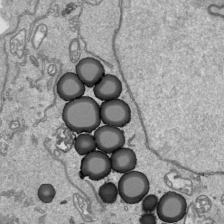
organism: Human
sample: Mitochondria in HCT116 cells